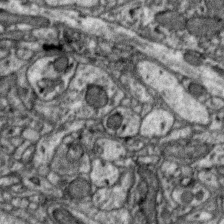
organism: Zebra finch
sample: Brain